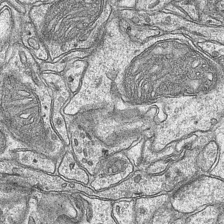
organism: Mouse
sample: CA1 Hippocampus